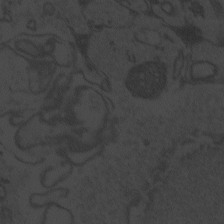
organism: Zebrafish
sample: Macrophage infected with Toxoplasma gondii